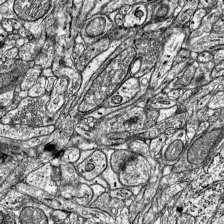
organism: Mouse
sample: Visual Cortex